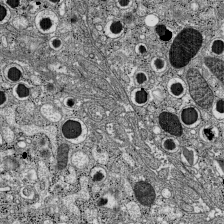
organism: C57BL Mouse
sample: Pancreatic islet